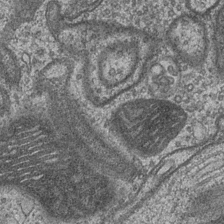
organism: Drosophila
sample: Optic medulla